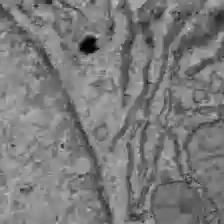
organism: C57BL Mouse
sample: Liver